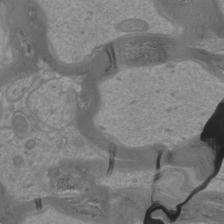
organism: Mouse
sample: Cortical neurons